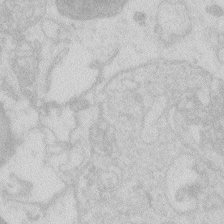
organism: Zebrafish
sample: Macrophage